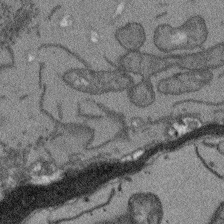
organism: Arabidopsis thaliana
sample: Root tip